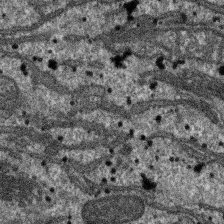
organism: Human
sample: Lung epithelial cells infected with SARS-CoV-2